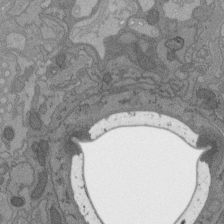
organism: C. elegans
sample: AFD neurons C. elegans